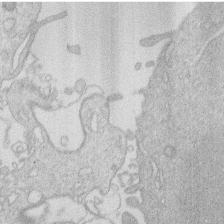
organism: Human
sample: Macrophage cells